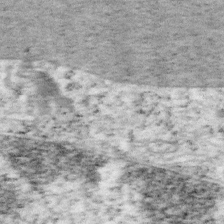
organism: Mouse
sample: OT-I killer T cells with ID8 ovarian cancer cells